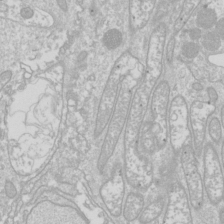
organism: Drosophila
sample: Cell division; meiosis; drosophila spermatocytes